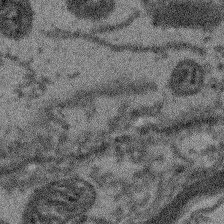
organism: Arabidopsis thaliana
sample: Root tip